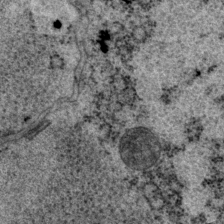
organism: P. pacificus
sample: Pharynx